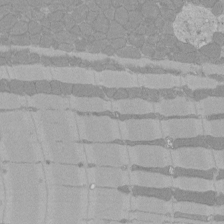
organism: Rat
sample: Left ventricle